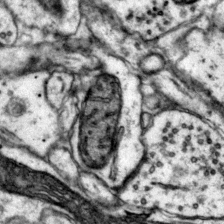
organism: Mouse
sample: Primary visual cortex